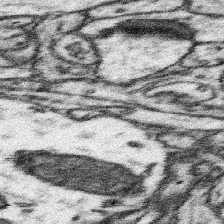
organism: Mouse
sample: Somatosensory cortex neuropil